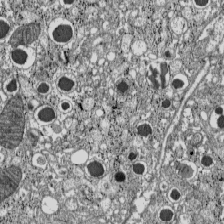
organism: C57BL Mouse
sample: Pancreatic islet